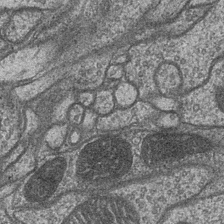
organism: Drosophila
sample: Optic medulla